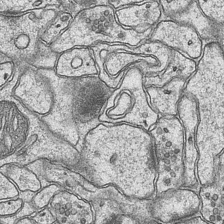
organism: Mouse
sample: CA1 Hippocampus